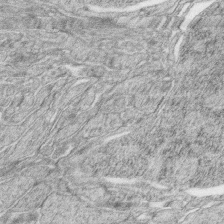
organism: Zebrafish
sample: synaptic ribbons in rod cells and cone cells